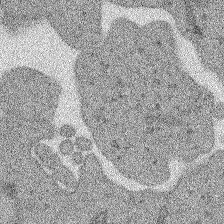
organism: Human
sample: HeLa cells